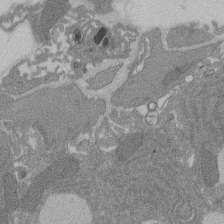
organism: Rat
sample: Salivary granule